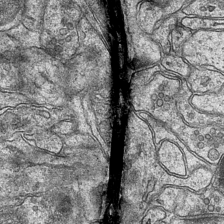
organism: Mouse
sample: CA1 Hippocampus